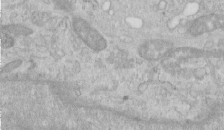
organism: Human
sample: Centriole in RPE cells